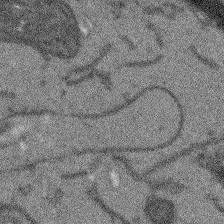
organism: Arabidopsis thaliana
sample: Root tip